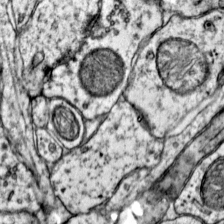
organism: Mouse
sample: Primary visual cortex